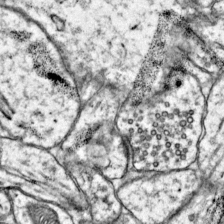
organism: Mouse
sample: Primary visual cortex